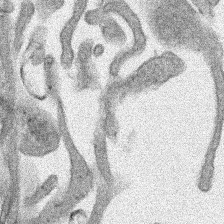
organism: Human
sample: Mitochondria in HCT116 cells